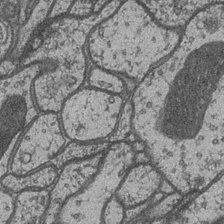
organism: Drosophila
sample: Optic medulla